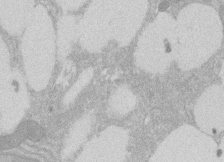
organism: Rat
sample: Salivary granule